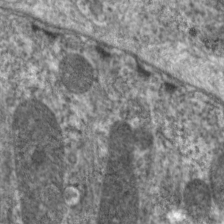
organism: C. elegans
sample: Pharynx